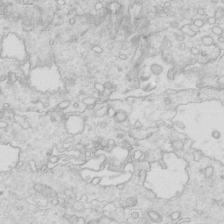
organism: Mouse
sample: Multiciliated cells